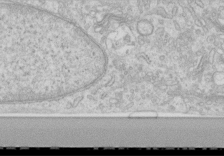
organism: Human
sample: Centriole in RPE cells